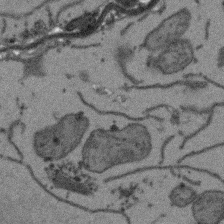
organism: Arabidopsis thaliana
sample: Root tip